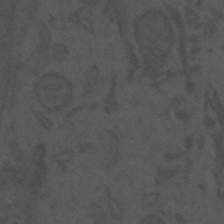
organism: Mouse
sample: Suprachiasmatic nucleus